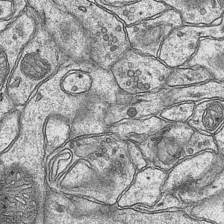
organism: Mouse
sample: CA1 Hippocampus